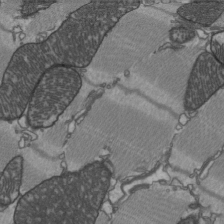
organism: C57BL Mouse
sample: Heart